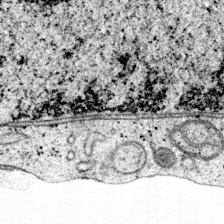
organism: Human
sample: HeLa cells